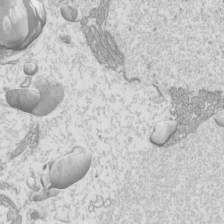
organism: Mouse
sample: Cilia; mouse epididymis